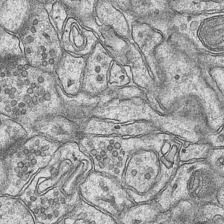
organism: Mouse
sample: CA1 Hippocampus